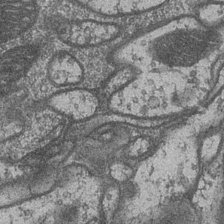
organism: Drosophila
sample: Optic medulla